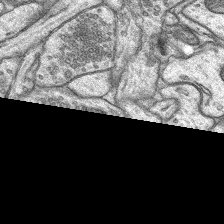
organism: Rat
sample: Hippocampus